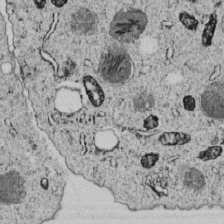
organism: C. elegans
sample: C. elegans embryo early stage